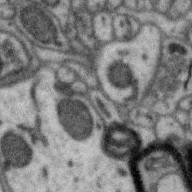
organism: Zebra finch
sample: Brain